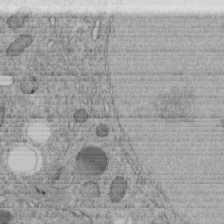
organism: C. elegans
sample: C. elegans embryo early stage